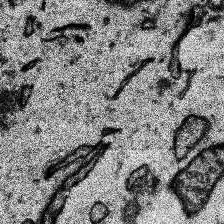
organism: Human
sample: Temporal Lobe